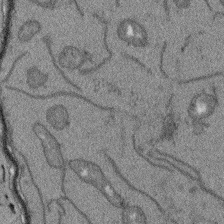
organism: Arabidopsis thaliana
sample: Root tip